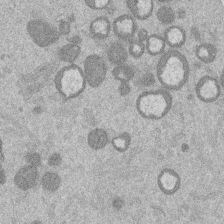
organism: Mouse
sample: Dividing mouse embryo 1 cell stage